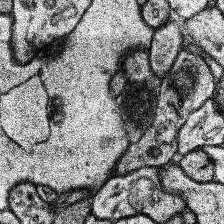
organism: Human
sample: Temporal Lobe